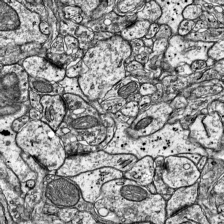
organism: Mouse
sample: Visual Cortex